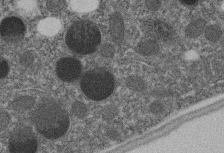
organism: C. elegans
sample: C. elegans embryo early stage